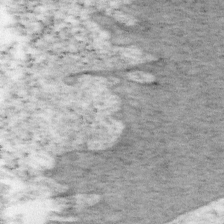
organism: Mouse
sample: OT-I killer T cells with ID8 ovarian cancer cells